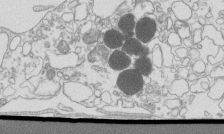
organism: Mouse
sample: Macrophages